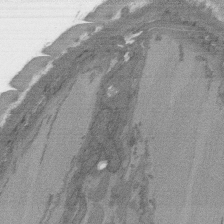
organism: C. elegans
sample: AFD neurons C. elegans